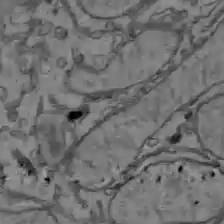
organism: C57BL Mouse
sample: Liver